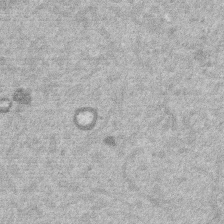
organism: Mouse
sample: Dividing mouse embryo 1 cell stage